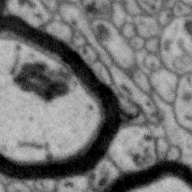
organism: Zebra finch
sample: Brain